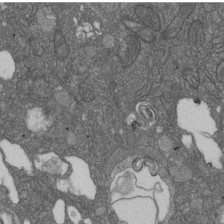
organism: Drosophila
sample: Nephrocyte